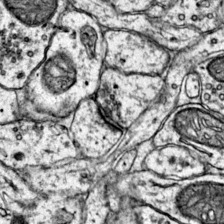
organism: Mouse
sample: Primary visual cortex